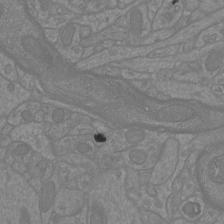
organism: Mouse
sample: Cortical neurons